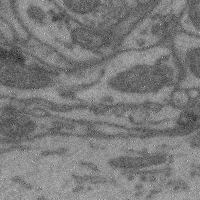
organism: Mouse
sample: Cerebral cortex